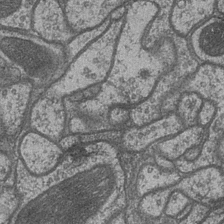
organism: Drosophila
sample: Optic medulla